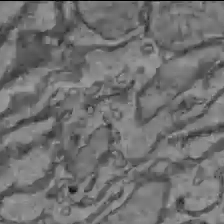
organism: C57BL Mouse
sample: Liver